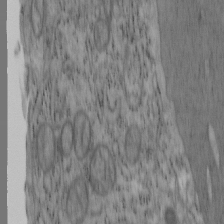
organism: Human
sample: HeLa cells